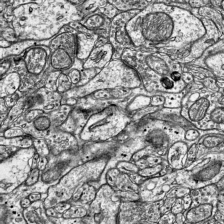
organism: Mouse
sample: Visual Cortex